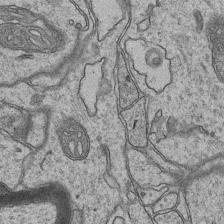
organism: Mouse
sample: CA1 Hippocampus